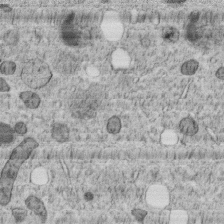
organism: C. elegans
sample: C. elegans embryo early stage